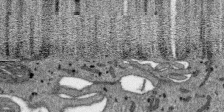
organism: Human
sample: Lung epithelial cells, uninfected (mock) control